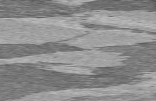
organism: C57BL Mouse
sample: Heart